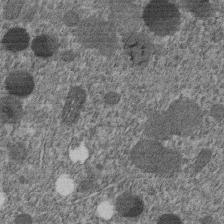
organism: C. elegans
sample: C. elegans embryo early stage